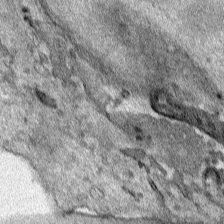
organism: Human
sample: Mitochondria in HCT116 cells